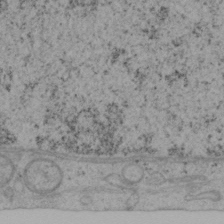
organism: Human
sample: HeLa cells